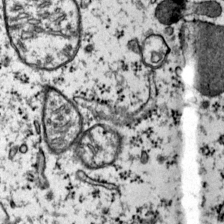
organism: Mouse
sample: Primary visual cortex